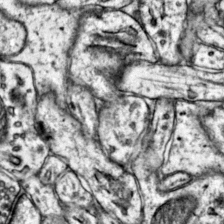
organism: Mouse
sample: Primary visual cortex